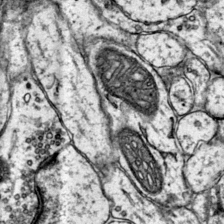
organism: Mouse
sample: Primary visual cortex